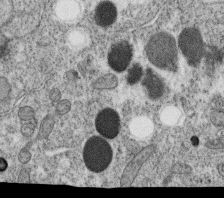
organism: C. elegans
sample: C. elegans oocyte; sperm cells